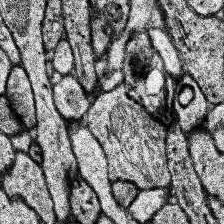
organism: Human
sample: Temporal Lobe